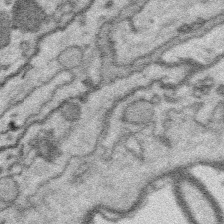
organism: Platynereis dumerilii